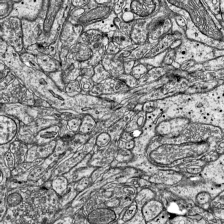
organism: Mouse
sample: Visual Cortex